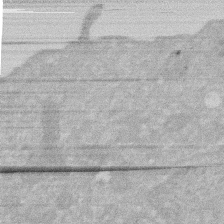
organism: Human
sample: HIV infected U937 cells